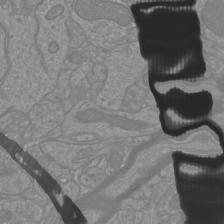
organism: Mouse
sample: Cortical neurons